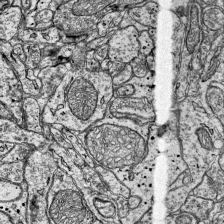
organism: Mouse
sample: Visual Cortex